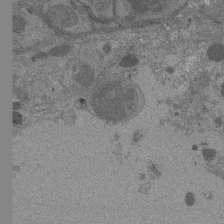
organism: Drosophila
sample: Antenna